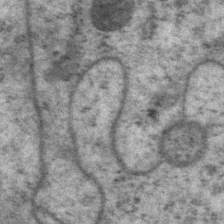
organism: P. pacificus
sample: Pharynx